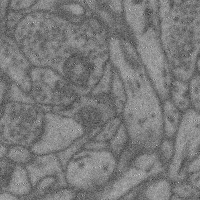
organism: Mouse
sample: Cerebral cortex